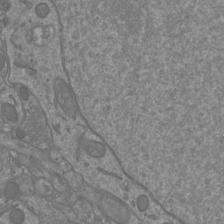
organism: Mouse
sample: Cortical neurons